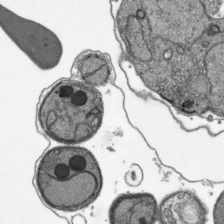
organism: Plasmodium falciparum